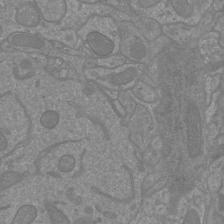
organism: Mouse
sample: Cortical neurons